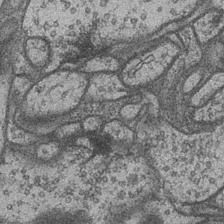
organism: Drosophila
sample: Optic medulla